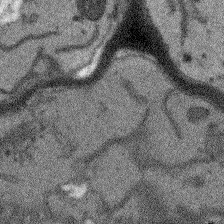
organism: Arabidopsis thaliana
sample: Root tip